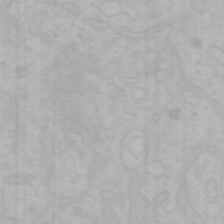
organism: Mouse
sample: Choroid plexus